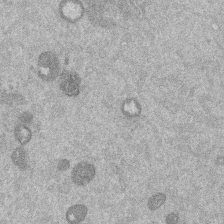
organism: Mouse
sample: Dividing mouse embryo 1 cell stage